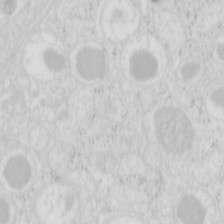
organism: Mouse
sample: Pancreas